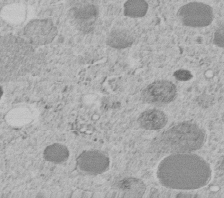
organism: C. elegans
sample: C. elegans embryo early stage